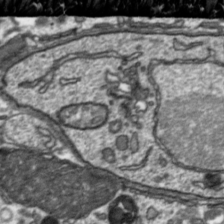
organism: Toxoplasma gondii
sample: Parasites in a vacuole inside a host cell